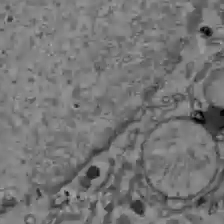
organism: C57BL Mouse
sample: Liver